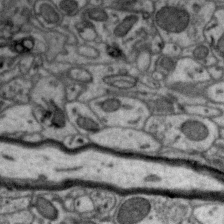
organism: Zebra finch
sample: Brain